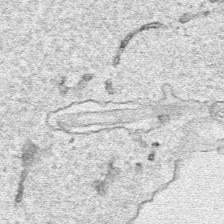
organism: Human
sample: Mitochondria in HCT116 cells